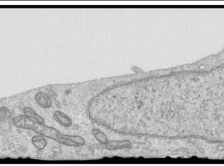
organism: Human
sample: Centriole in RPE cells